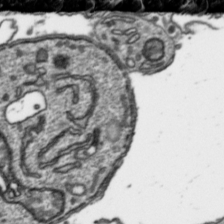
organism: Toxoplasma gondii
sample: Parasites in a vacuole inside a host cell